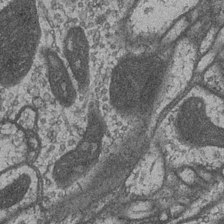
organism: Drosophila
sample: Optic medulla